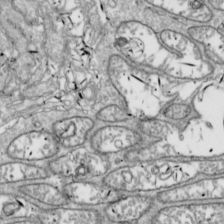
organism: Drosophila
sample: Cell division; meiosis; drosophila spermatocytes